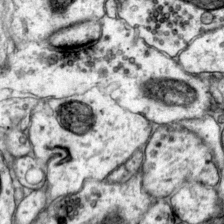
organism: Mouse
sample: Primary visual cortex